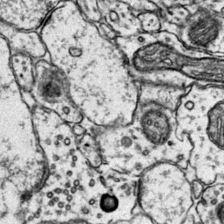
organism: Mouse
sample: Primary visual cortex